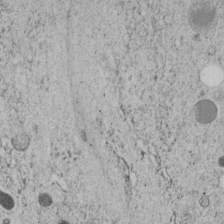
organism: C. elegans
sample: C. elegans embryo early stage